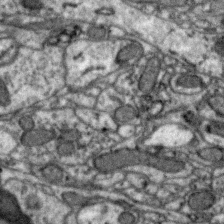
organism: Zebra finch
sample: Brain